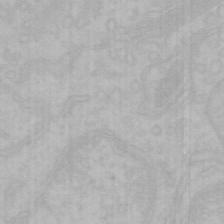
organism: Mouse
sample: Choroid plexus